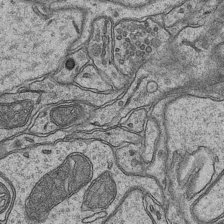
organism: Mouse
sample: CA1 Hippocampus